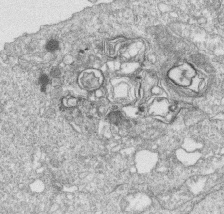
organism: Human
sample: HeLa cell HIV synapse